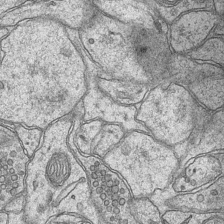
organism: Mouse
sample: CA1 Hippocampus